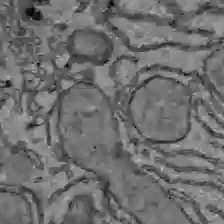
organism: C57BL Mouse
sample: Liver